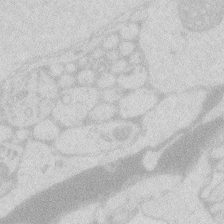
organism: Zebrafish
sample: Macrophage